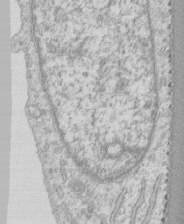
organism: Human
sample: CRL-1474